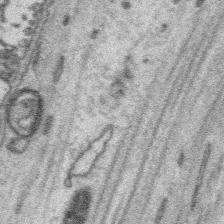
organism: Platynereis dumerilii